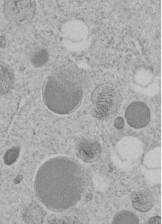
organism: C. elegans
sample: C. elegans embryo early stage